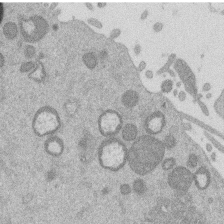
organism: Mouse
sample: Dividing mouse embryo 1 cell stage